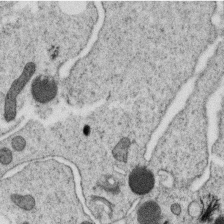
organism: C. elegans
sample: C. elegans oocyte; sperm cells